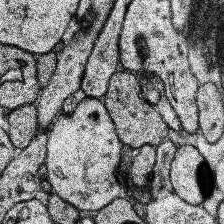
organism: Human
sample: Temporal Lobe